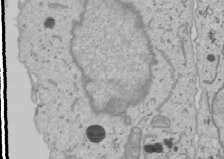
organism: Human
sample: Mitochondria in U2OS cells